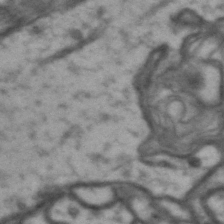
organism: Drosophila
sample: Brain